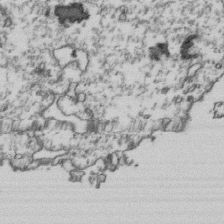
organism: Human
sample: Activated Jurkat CD4+ T cells